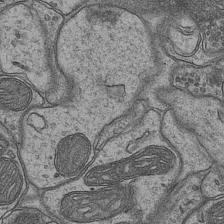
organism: Mouse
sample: CA1 Hippocampus